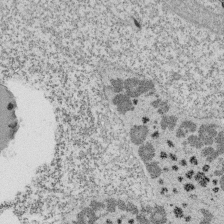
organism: Tetrahymena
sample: Cilia in tetrahymena